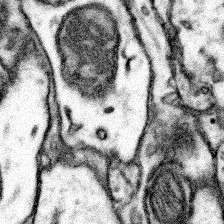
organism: Mouse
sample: Somatosensory cortex neuropil